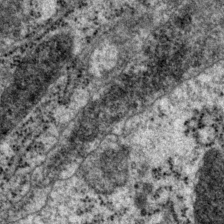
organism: P. pacificus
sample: Pharynx